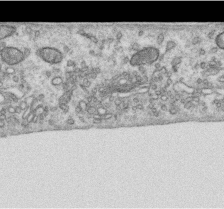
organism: Human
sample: Centriole in RPE cells